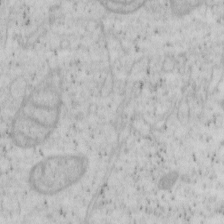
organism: Human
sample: HeLa cells